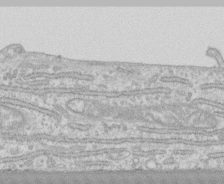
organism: Human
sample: CRL-1474